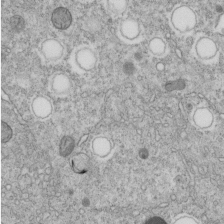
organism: C. elegans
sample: C. elegans embryo early stage